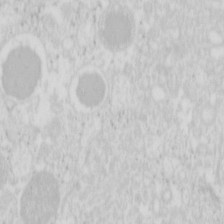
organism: Mouse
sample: Pancreas